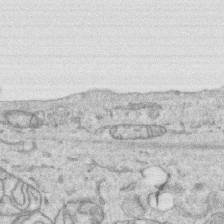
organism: Human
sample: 1205lu cells